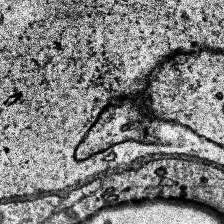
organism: Human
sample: Temporal Lobe